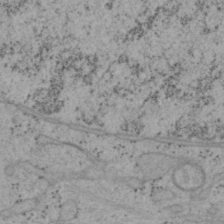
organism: Human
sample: HeLa cells